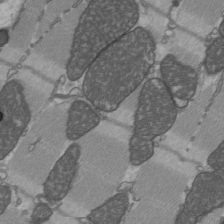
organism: C57BL Mouse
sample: Heart